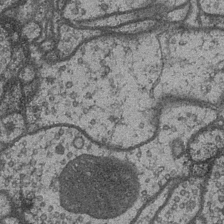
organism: Drosophila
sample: Optic medulla